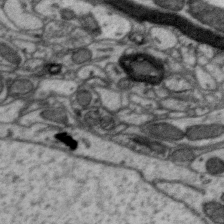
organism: Zebra finch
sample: Brain